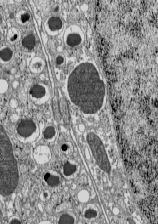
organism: C57BL Mouse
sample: Pancreatic islet